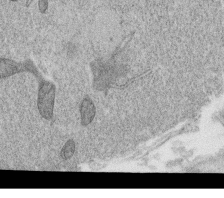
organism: C. elegans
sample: C. elegans oocyte; sperm cells